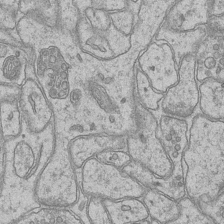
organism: Mouse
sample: CA1 Hippocampus